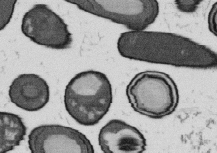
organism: B. subtilis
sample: Bacterial spore